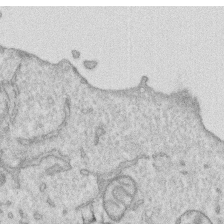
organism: Human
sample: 1205lu cells